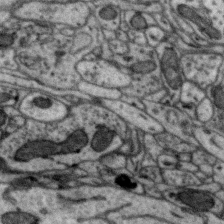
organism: Zebra finch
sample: Brain